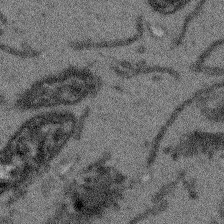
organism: Arabidopsis thaliana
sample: Root tip